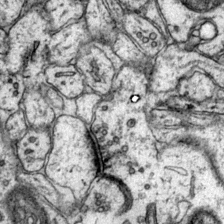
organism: Mouse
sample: Primary visual cortex